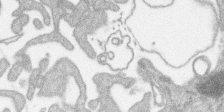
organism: Human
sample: Lung epithelial cells infected with SARS-CoV-2